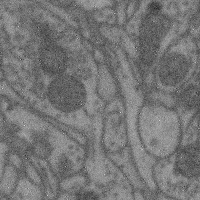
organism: Mouse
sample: Cerebral cortex